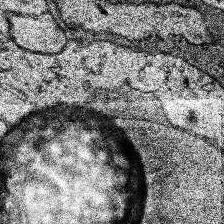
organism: Human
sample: Temporal Lobe